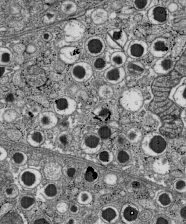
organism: C57BL Mouse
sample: Pancreatic islet